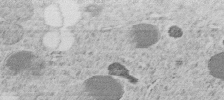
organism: C. elegans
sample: C. elegans embryo early stage